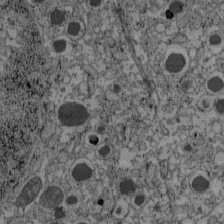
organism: C57BL Mouse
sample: Pancreatic islet